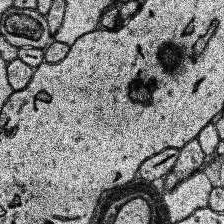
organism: Human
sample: Temporal Lobe